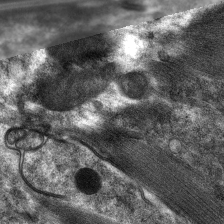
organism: C. elegans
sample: Pharynx